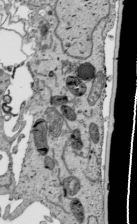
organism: Human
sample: Mitochondria in HCT116 cells